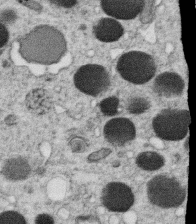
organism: C. elegans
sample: C. elegans oocyte; sperm cells